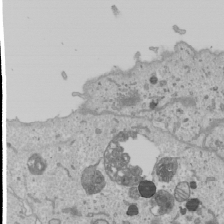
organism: Human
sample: Mitochondria in U2OS cells